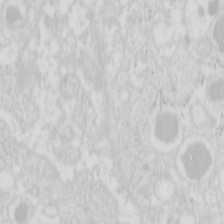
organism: Mouse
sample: Pancreas